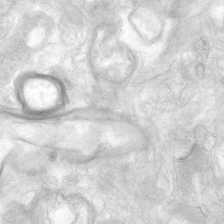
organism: Human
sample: Neocortex